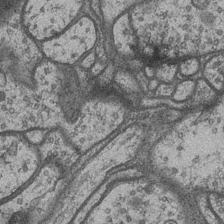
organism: Drosophila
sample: Optic medulla